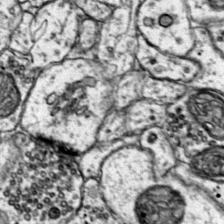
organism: Mouse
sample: Primary visual cortex